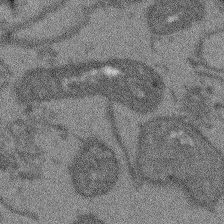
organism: Arabidopsis thaliana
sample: Root tip